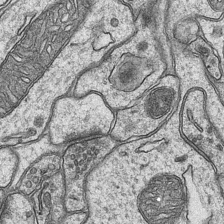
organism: Mouse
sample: CA1 Hippocampus